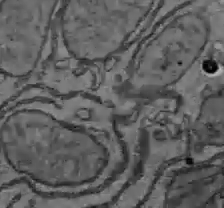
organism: C57BL Mouse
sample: Liver